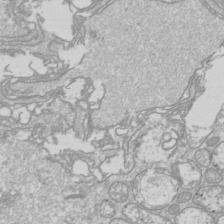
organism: Drosophila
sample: Cell division; meiosis; drosophila spermatocytes